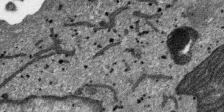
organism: Human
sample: Lung epithelial cells, uninfected (mock) control